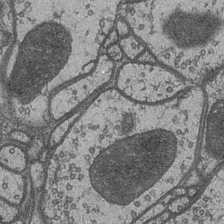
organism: Drosophila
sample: Optic medulla